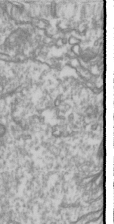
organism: Drosophila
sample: Cell division; meiosis; drosophila spermatocytes